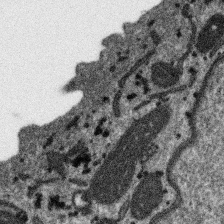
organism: Human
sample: Lung epithelial cells infected with SARS-CoV-2